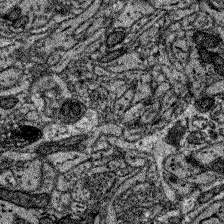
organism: Zebrafish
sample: Larval olfactory bulb